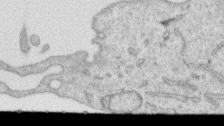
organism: Human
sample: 1205lu cells